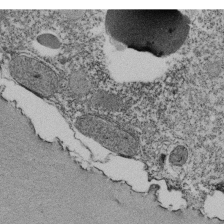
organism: Tetrahymena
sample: Cilia in tetrahymena